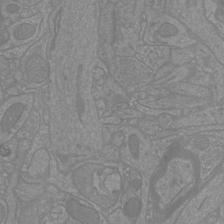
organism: Mouse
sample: Cortical neurons